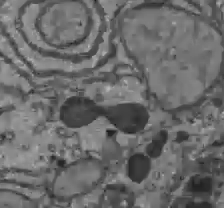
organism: C57BL Mouse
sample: Liver